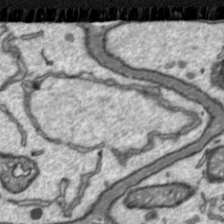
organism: Toxoplasma gondii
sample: Parasites in a vacuole inside a host cell